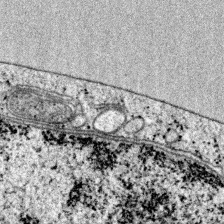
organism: Human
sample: HeLa cells